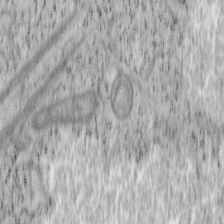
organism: Human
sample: HeLa cells